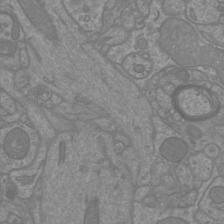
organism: Mouse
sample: Cortical neurons